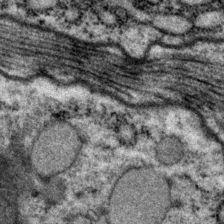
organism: P. pacificus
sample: Pharynx